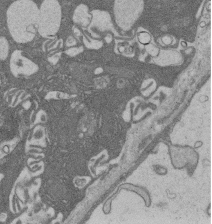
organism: Rat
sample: Salivary granule